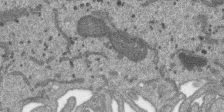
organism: Human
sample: Lung epithelial cells infected with SARS-CoV-2